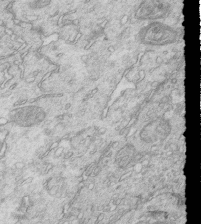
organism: Mouse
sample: Multiciliated cells